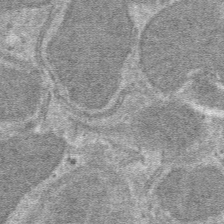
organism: Mouse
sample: Mouse hepatocytes